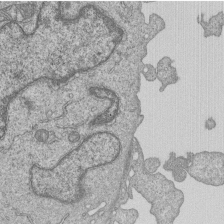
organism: Human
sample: MDA-MB-231 cells